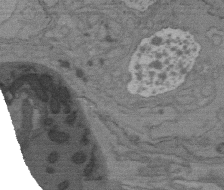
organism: C. elegans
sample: AFD neurons C. elegans